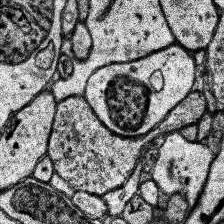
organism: Human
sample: Temporal Lobe